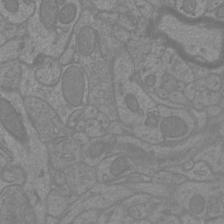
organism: Mouse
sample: Cortical neurons